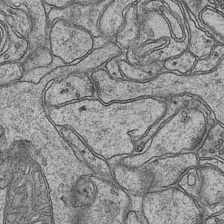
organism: Mouse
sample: CA1 Hippocampus